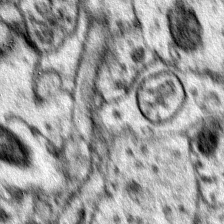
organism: Mouse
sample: Primary visual cortex